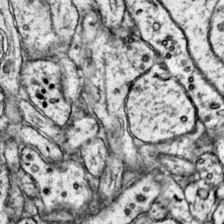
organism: Mouse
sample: Primary visual cortex